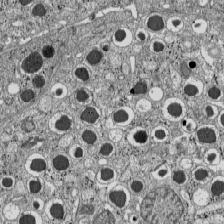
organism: C57BL Mouse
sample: Pancreatic islet